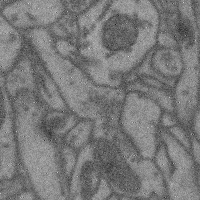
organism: Mouse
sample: Cerebral cortex